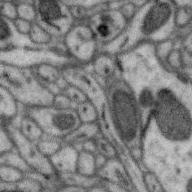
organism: Zebra finch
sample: Brain